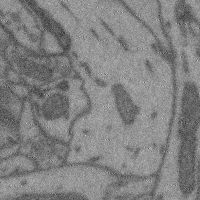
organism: Mouse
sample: Cerebral cortex